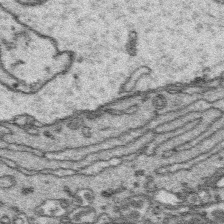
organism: Platynereis dumerilii